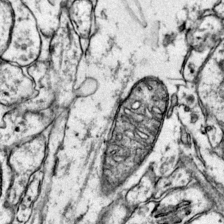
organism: Mouse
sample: Primary visual cortex